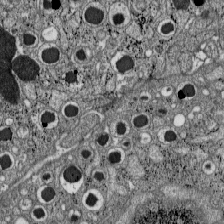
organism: C57BL Mouse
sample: Pancreatic islet